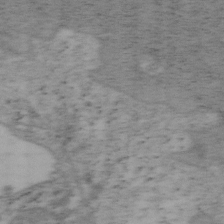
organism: Mouse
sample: OT-I killer T cells with ID8 ovarian cancer cells